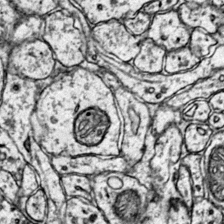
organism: Mouse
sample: Primary visual cortex